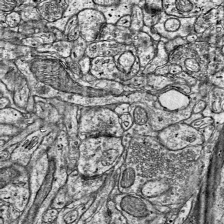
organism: Mouse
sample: Visual Cortex